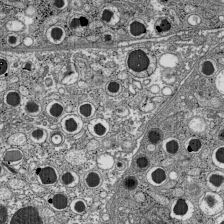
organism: C57BL Mouse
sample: Pancreatic islet